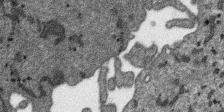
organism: Human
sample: Lung epithelial cells infected with SARS-CoV-2